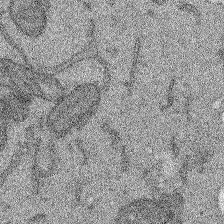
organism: Human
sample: HeLa cells